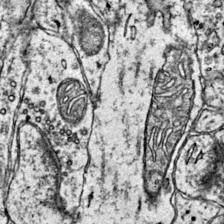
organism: Mouse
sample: Primary visual cortex